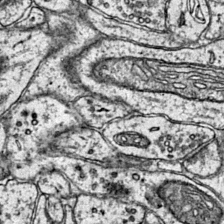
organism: Mouse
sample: Primary visual cortex